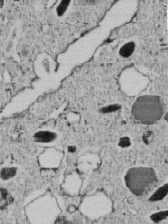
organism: C. elegans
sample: C. elegans embryo early stage